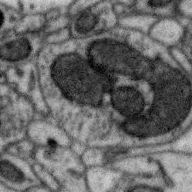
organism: Zebra finch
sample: Brain